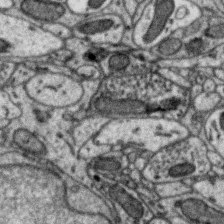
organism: Zebra finch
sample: Brain